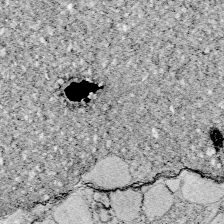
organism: Zebrafish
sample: Whole-Brain